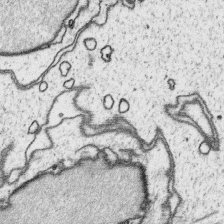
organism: Platynereis dumerilii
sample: Parapodia